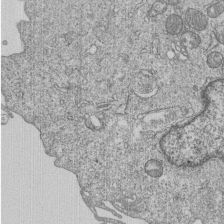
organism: Human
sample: MDA-MB-231 cells